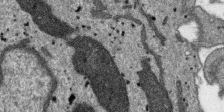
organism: Human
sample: Lung epithelial cells, uninfected (mock) control